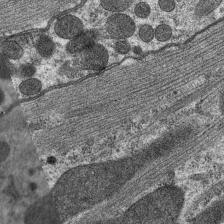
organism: C. elegans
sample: Pharynx